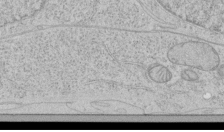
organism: Human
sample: Mitochondria in HCT116 cells